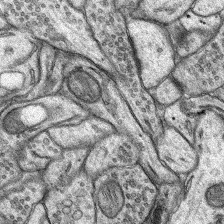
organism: Rat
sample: Hippocampus